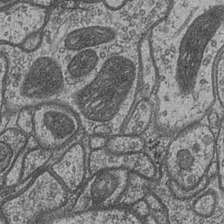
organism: Drosophila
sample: Optic medulla